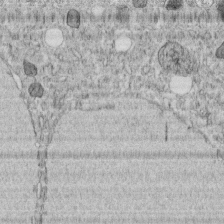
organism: C. elegans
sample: C. elegans embryo early stage